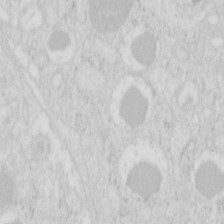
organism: Mouse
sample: Pancreas